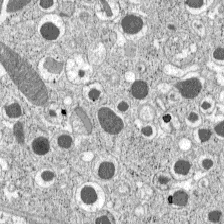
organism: C57BL Mouse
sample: Pancreatic islet